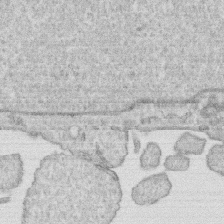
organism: Human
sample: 1205lu cells